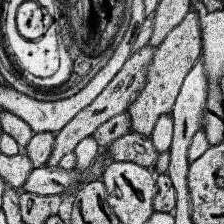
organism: Human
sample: Temporal Lobe